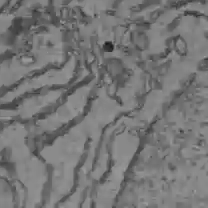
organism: C57BL Mouse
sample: Liver